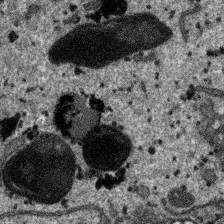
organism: Human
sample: Lung epithelial cells infected with SARS-CoV-2